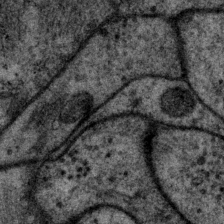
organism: P. pacificus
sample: Pharynx